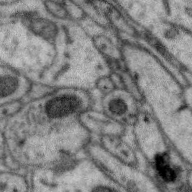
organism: Zebra finch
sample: Brain